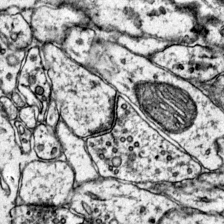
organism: Mouse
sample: Primary visual cortex